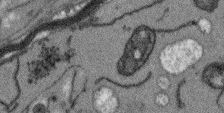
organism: Arabidopsis thaliana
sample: Root tip